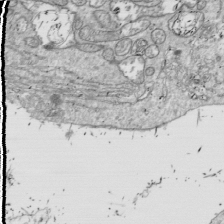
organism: Drosophila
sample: Cell division; meiosis; drosophila spermatocytes